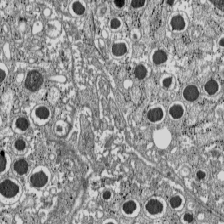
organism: C57BL Mouse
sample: Pancreatic islet